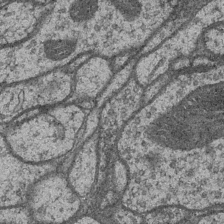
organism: Drosophila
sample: Optic medulla